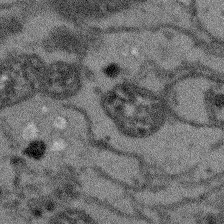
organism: Arabidopsis thaliana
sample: Root tip